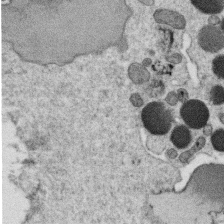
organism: C. elegans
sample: C. elegans oocyte; sperm cells